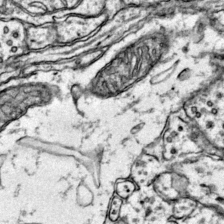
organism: Mouse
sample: Primary visual cortex